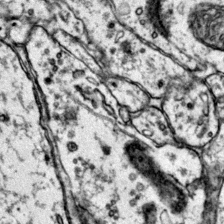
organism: Mouse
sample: Primary visual cortex